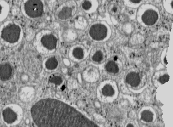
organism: C57BL Mouse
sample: Pancreatic islet